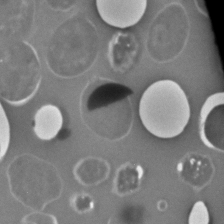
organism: C. elegans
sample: C. elegans embryo